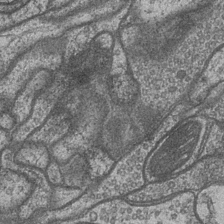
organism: Drosophila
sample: Optic medulla